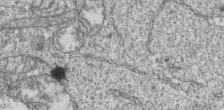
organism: Human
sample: HeLa cell HIV synapse